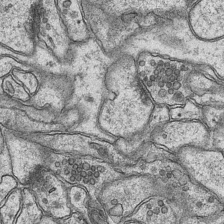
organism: Mouse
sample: CA1 Hippocampus